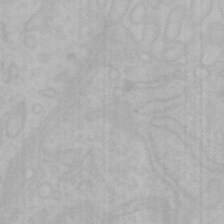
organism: Mouse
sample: Choroid plexus